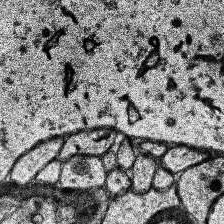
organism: Human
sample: Temporal Lobe